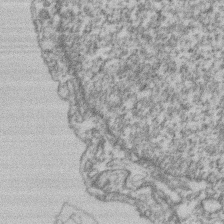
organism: Mouse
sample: T cell stromal cell synapse